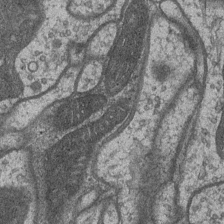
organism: Drosophila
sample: Optic medulla